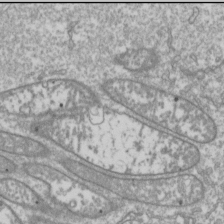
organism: Drosophila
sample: Cell division; meiosis; drosophila spermatocytes